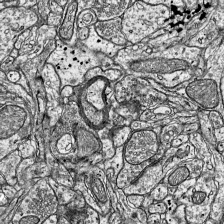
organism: Mouse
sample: Visual Cortex